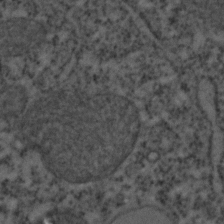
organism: C. elegans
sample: C. elegans embryo